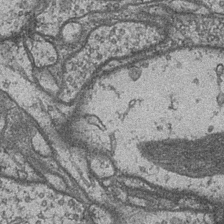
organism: Drosophila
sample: Optic medulla